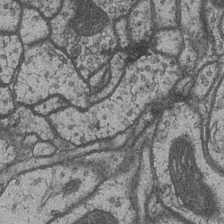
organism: Drosophila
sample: Optic medulla